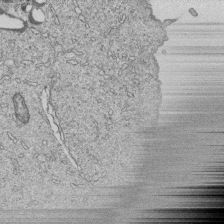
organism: Human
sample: MDA-MB-231 cells